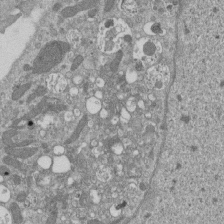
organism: Mouse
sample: ED-1 cell nuclei; centrioles